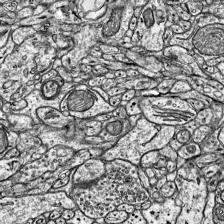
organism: Mouse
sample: Visual Cortex